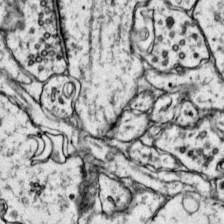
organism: Mouse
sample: Primary visual cortex